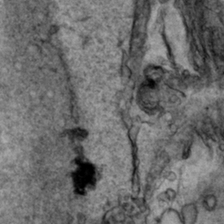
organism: Human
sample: Mitochondria in HCT116 cells